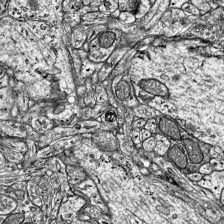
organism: Mouse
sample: Visual Cortex